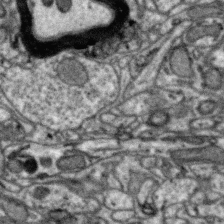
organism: Zebra finch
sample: Brain